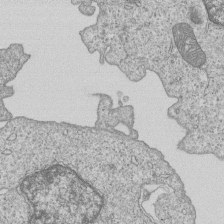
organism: Human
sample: MDA-MB-231 cells